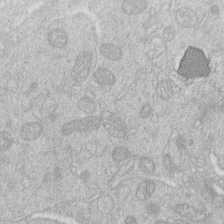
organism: Human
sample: Macrophage cells